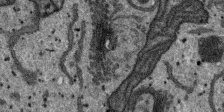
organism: Human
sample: Lung epithelial cells, uninfected (mock) control